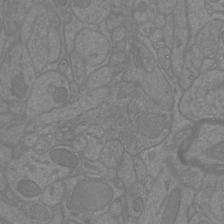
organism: Mouse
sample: Cortical neurons